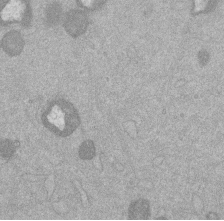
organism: Mouse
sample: Dividing mouse embryo 1 cell stage